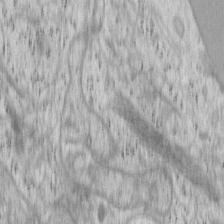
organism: Human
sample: HeLa cells